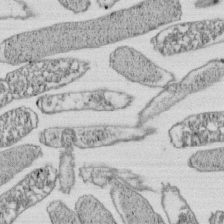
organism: E. coli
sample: Bacterial nucleoid